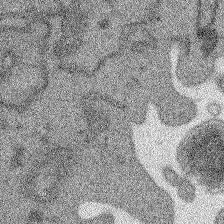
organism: Human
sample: HeLa cells